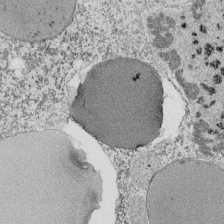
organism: Tetrahymena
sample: Cilia in tetrahymena